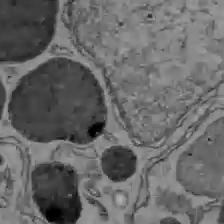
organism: C57BL Mouse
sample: Liver